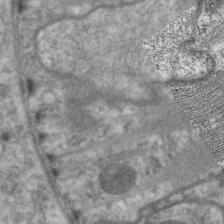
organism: C. elegans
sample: Pharynx